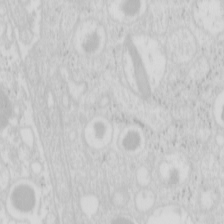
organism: Mouse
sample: Pancreas